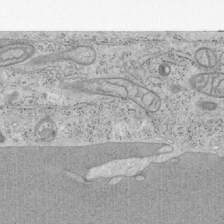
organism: Human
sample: HeLa cells